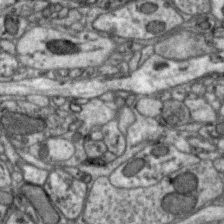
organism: Zebra finch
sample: Brain